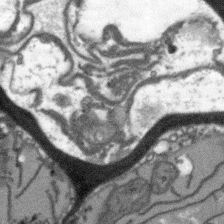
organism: Arabidopsis thaliana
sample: Root tip